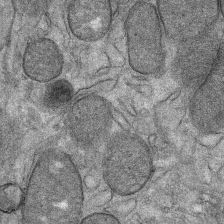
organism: Mouse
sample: Mouse Salivary gland